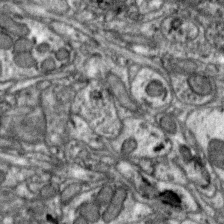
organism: Zebra finch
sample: Brain